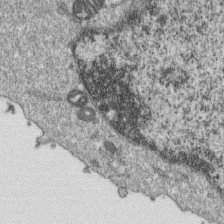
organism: African green monkey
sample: Vero E6 cells infected with SARS-CoV-2